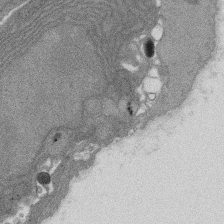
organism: Rat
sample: Salivary granule